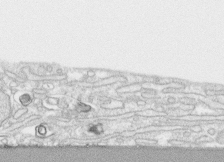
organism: Human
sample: CRL-1474